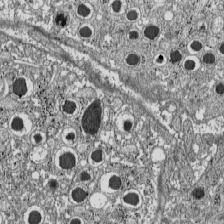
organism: C57BL Mouse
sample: Pancreatic islet